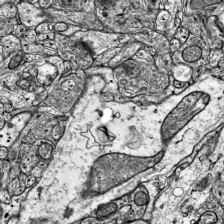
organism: Mouse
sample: Visual Cortex